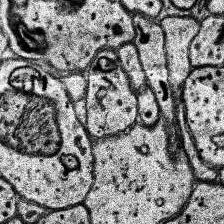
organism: Human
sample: Temporal Lobe